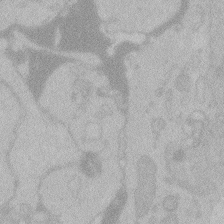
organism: Zebrafish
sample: Macrophage infected with Toxoplasma gondii